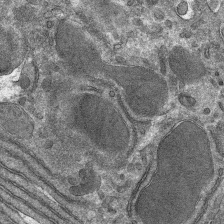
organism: Mouse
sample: Mouse hepatocytes